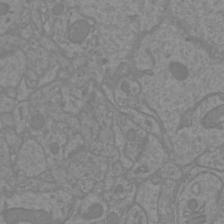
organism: Mouse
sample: Cortical neurons